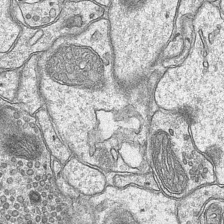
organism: Mouse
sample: CA1 Hippocampus